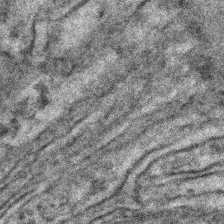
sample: Kidney